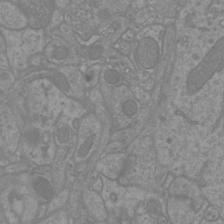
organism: Mouse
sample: Cortical neurons